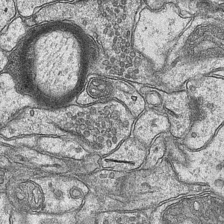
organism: Mouse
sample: CA1 Hippocampus